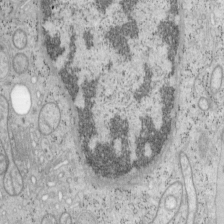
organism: Mouse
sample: OT-I killer T cells with ID8 ovarian cancer cells